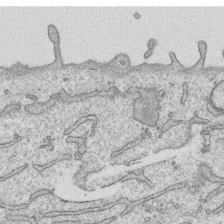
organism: Human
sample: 1205lu cells